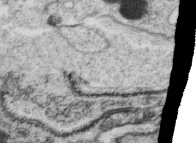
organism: C. elegans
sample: C. elegans oocyte; sperm cells